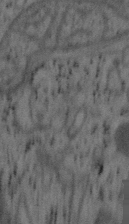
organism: Human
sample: HeLa cells